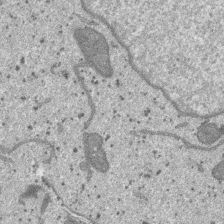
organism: Human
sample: Lung epithelial cells infected with SARS-CoV-2